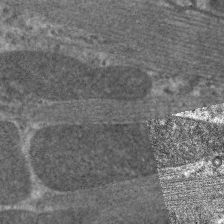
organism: C. elegans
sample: Pharynx